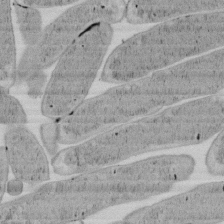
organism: E. coli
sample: Bacterial nucleoid